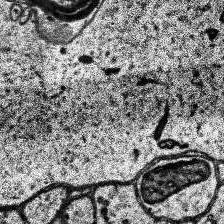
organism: Human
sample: Temporal Lobe